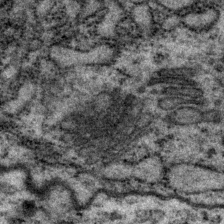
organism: P. pacificus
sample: Pharynx